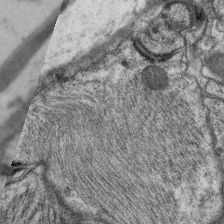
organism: C. elegans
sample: Pharynx